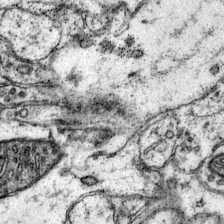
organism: Mouse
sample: Primary visual cortex